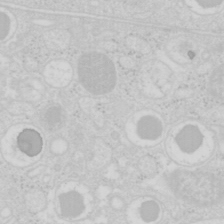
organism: Mouse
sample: Pancreas